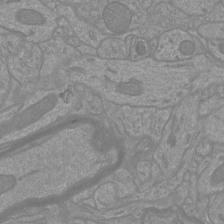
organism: Mouse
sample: Cortical neurons